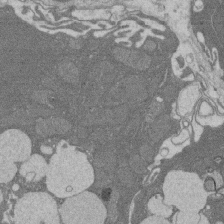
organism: Rat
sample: Salivary granule